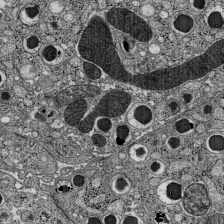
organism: C57BL Mouse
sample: Pancreatic islet